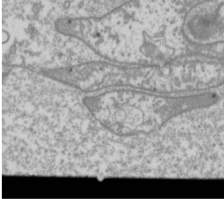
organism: Drosophila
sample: Cell division; meiosis; drosophila spermatocytes